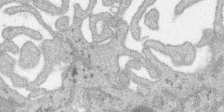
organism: Human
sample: Lung epithelial cells infected with SARS-CoV-2